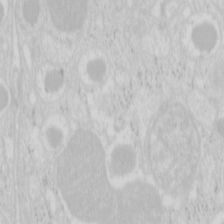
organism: Mouse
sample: Pancreas